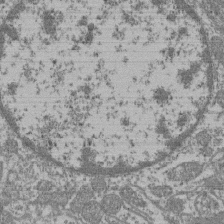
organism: Mouse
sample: Glomerulus